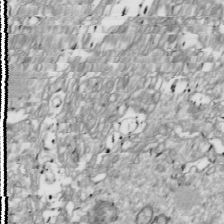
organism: Drosophila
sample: Cell division; meiosis; drosophila spermatocytes